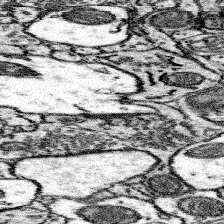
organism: Mouse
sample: Somatosensory cortex neuropil